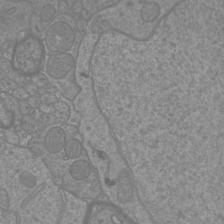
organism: Mouse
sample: Cortical neurons